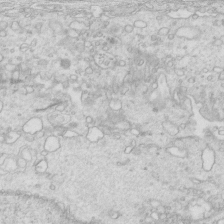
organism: Mouse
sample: Multiciliated cells